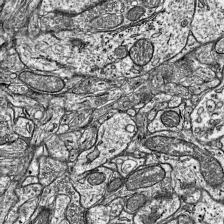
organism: Mouse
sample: Visual Cortex